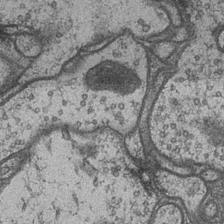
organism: Drosophila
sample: Optic medulla